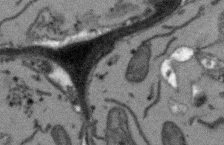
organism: Arabidopsis thaliana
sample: Root tip